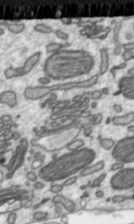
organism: Toxoplasma gondii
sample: Parasites in a vacuole inside a host cell